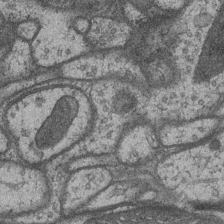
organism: Drosophila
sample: Optic medulla